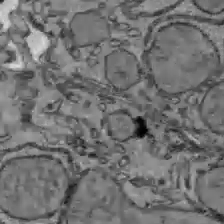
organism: C57BL Mouse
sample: Liver